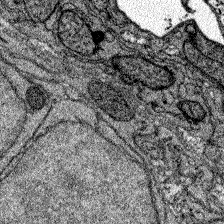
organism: Zebrafish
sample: Larval olfactory bulb